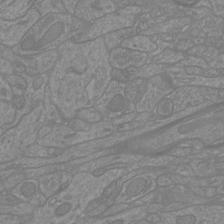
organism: Mouse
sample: Cortical neurons